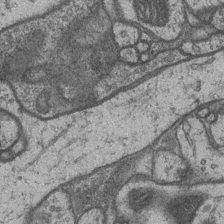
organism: Drosophila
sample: Optic medulla